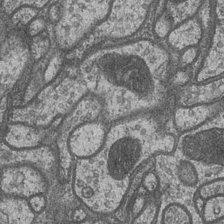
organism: Drosophila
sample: Optic medulla